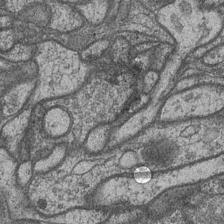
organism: Drosophila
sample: Optic medulla